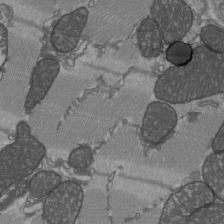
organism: C57BL Mouse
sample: Heart